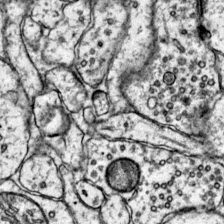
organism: Mouse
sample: Primary visual cortex